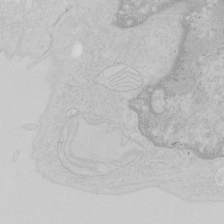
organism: Human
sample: Mitochondria in HCT116 cells